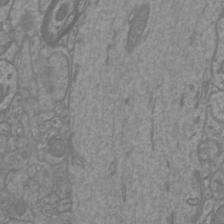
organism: Mouse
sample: Cortical neurons